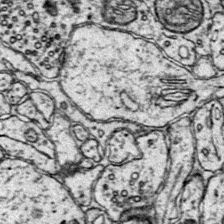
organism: Mouse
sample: Primary visual cortex